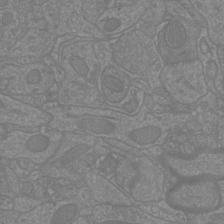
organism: Mouse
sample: Cortical neurons